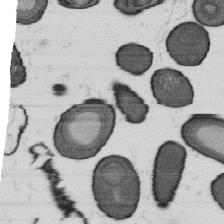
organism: B. subtilis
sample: Bacterial spore